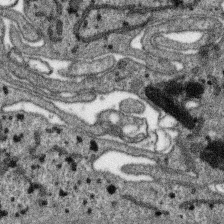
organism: Human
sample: Lung epithelial cells infected with SARS-CoV-2